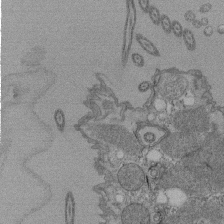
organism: Tetrahymena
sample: Cilia in tetrahymena